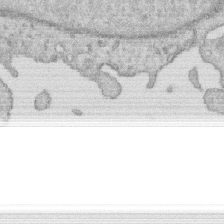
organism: Human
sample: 1205lu cells